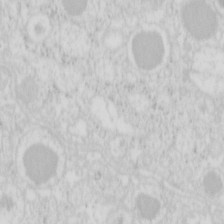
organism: Mouse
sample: Pancreas